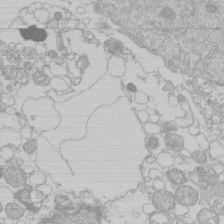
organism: Human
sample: Macrophage cells